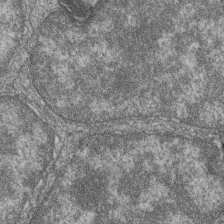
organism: Zebrafish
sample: Cilia; retinal pigment epithelium